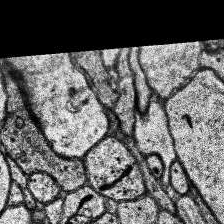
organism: Human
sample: Temporal Lobe